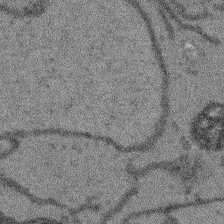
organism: Arabidopsis thaliana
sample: Root tip